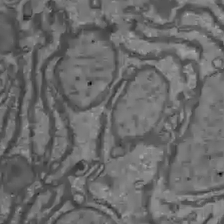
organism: C57BL Mouse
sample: Liver